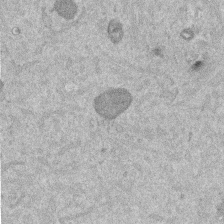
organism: Mouse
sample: Dividing mouse embryo 1 cell stage